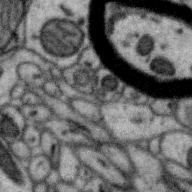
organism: Zebra finch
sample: Brain